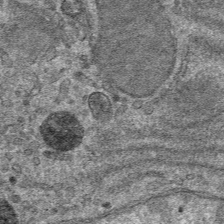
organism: Mouse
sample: Mouse hepatocytes